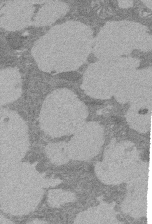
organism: Rat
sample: Salivary granule